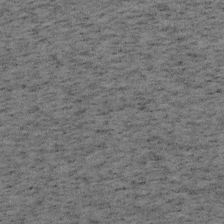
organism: Mouse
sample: OT-I killer T cells with ID8 ovarian cancer cells